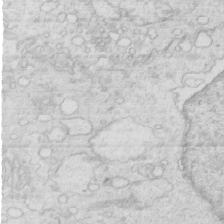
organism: Mouse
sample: Multiciliated cells